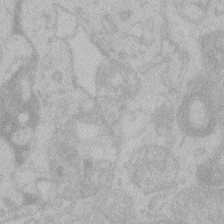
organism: Zebrafish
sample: Macrophage infected with Toxoplasma gondii